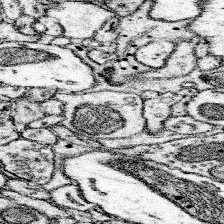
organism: Mouse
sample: Somatosensory cortex neuropil